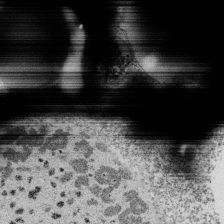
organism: Tetrahymena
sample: Cilia in tetrahymena